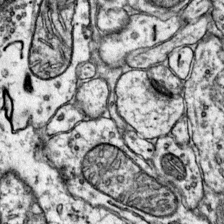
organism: Mouse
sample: Primary visual cortex